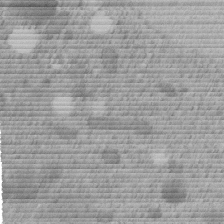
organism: C. elegans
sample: C. elegans embryo early stage